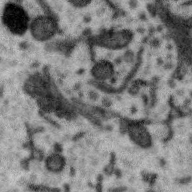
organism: Zebra finch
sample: Brain